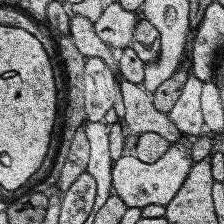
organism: Human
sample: Temporal Lobe